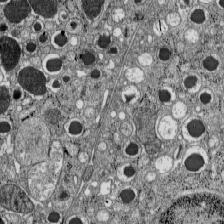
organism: C57BL Mouse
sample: Pancreatic islet